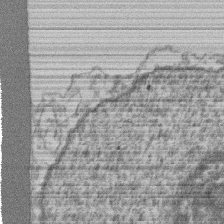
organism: Mouse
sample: T cell stromal cell synapse